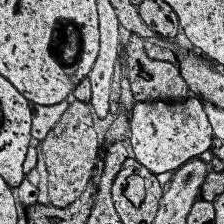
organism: Human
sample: Temporal Lobe